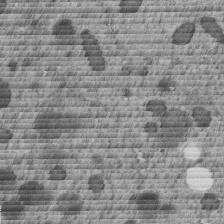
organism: C. elegans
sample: C. elegans embryo early stage